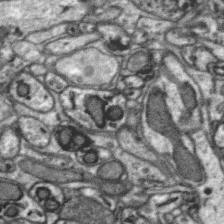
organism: Zebra finch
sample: Brain